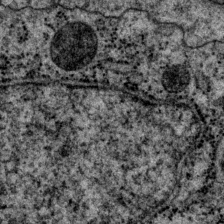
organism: P. pacificus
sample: Pharynx